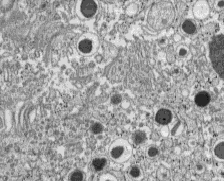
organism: C57BL Mouse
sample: Pancreatic islet